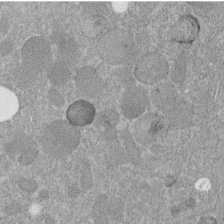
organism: C. elegans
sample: C. elegans embryo early stage